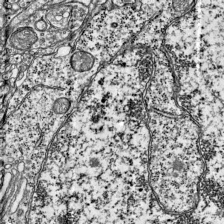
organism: Mouse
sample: Visual Cortex